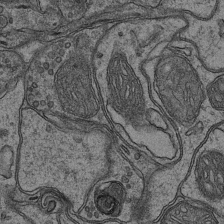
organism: Mouse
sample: CA1 Hippocampus